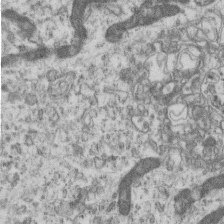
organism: Mouse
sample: Centriole in ependymal cells